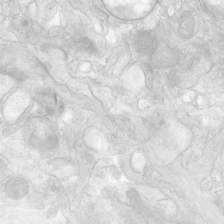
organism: Human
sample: Neocortex